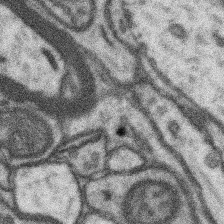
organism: Mouse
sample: Somatosensory cortex neuropil